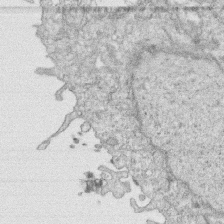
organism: Human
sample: HeLa cell HIV synapse